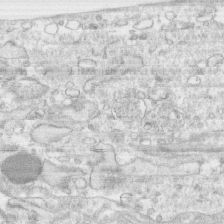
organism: Human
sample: CRL-1474